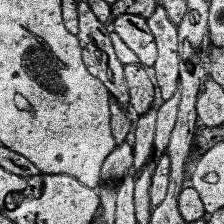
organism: Human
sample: Temporal Lobe